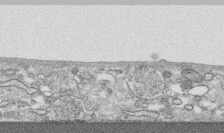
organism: Human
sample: CRL-1474